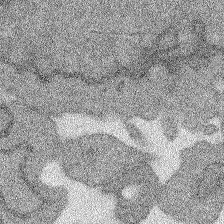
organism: Human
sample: HeLa cells